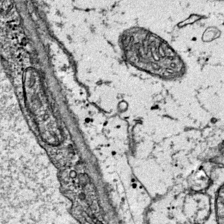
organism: Mouse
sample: Primary visual cortex